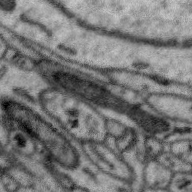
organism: Zebra finch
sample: Brain